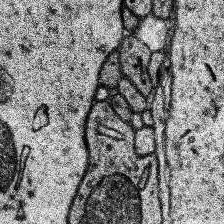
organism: Human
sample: Temporal Lobe